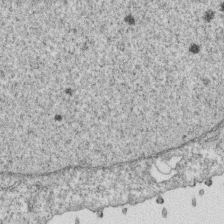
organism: Human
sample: HeLa cell HIV synapse